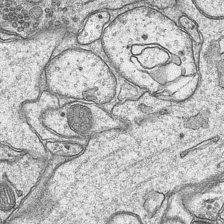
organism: Mouse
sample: CA1 Hippocampus